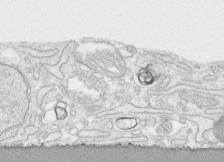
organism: Human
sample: CRL-1474